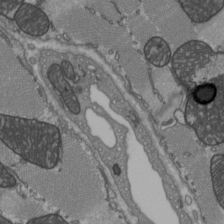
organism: C57BL Mouse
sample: Heart